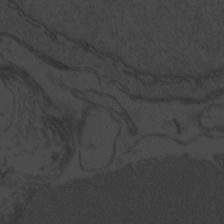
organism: Zebrafish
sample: Macrophage infected with Toxoplasma gondii